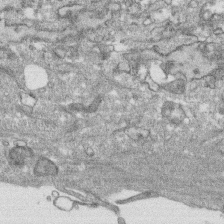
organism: Human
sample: CRL-1474